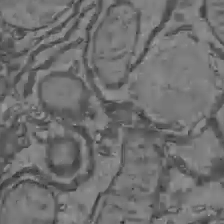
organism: C57BL Mouse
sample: Liver